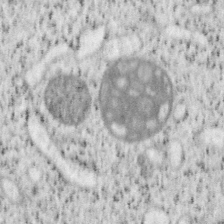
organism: Mouse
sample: OT-I killer T cells with ID8 ovarian cancer cells